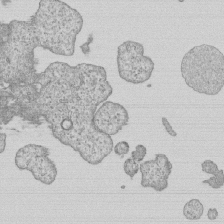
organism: Human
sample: MDA-MB-231 cells